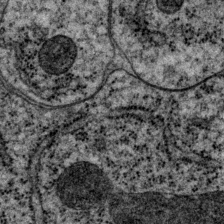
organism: P. pacificus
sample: Pharynx